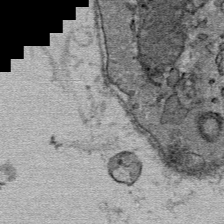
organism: Mouse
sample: Mouse Salivary gland